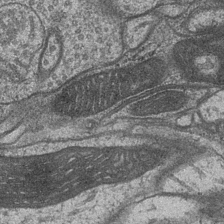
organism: Drosophila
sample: Optic medulla